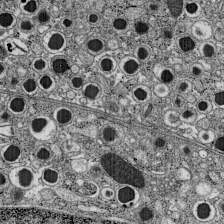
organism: C57BL Mouse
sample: Pancreatic islet